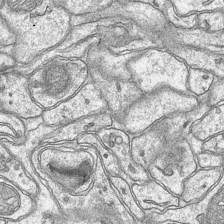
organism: Mouse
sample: CA1 Hippocampus